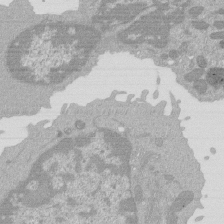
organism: Mouse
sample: Activated Pmel transgenic CD8+ T Cells